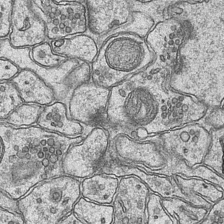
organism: Mouse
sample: CA1 Hippocampus